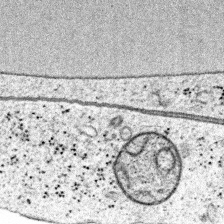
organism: Human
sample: HeLa cells